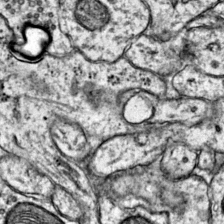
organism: Mouse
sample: Primary visual cortex